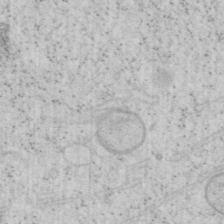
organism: Human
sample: HeLa cells